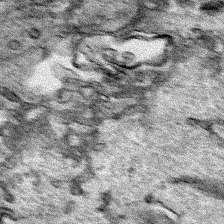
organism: Human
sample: Mitochondria in HCT116 cells